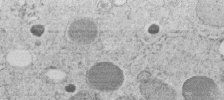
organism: C. elegans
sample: C. elegans embryo early stage